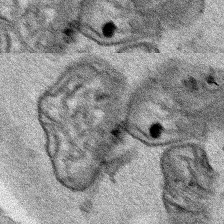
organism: Human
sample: Mitochondria in HCT116 cells